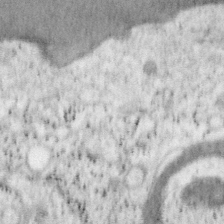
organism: Mouse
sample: OT-I killer T cells with ID8 ovarian cancer cells